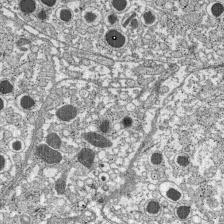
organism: C57BL Mouse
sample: Pancreatic islet